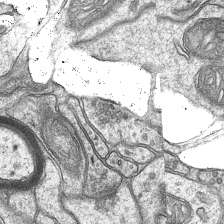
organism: Mouse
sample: CA1 Hippocampus